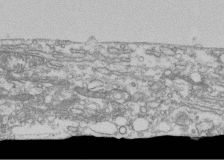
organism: Human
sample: Fibroblast cells